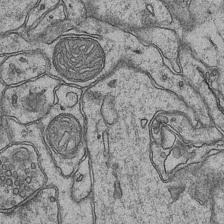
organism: Mouse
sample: CA1 Hippocampus